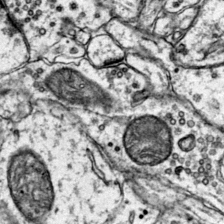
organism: Mouse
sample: Primary visual cortex